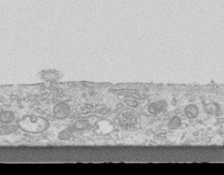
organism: Mouse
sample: Centriole in ependymal cells